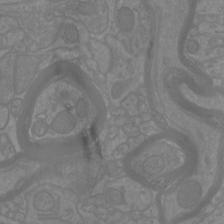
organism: Mouse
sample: Cortical neurons